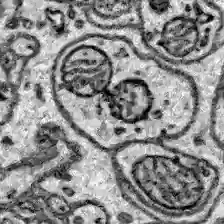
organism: Zebrafish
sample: Brain